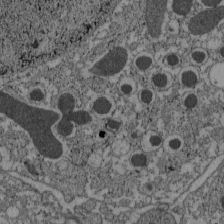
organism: C57BL Mouse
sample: Pancreatic islet